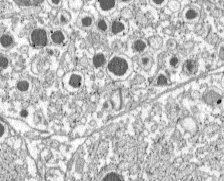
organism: C57BL Mouse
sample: Pancreatic islet